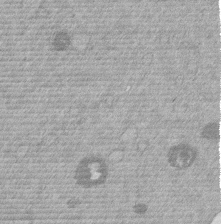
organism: Mouse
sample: Dividing mouse embryo 1 cell stage